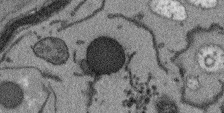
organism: Arabidopsis thaliana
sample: Root tip